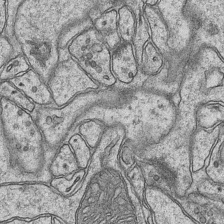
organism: Mouse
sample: CA1 Hippocampus